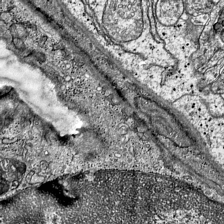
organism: Mouse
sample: Visual Cortex